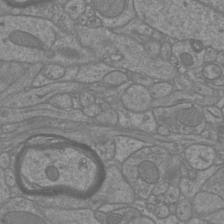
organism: Mouse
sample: Cortical neurons